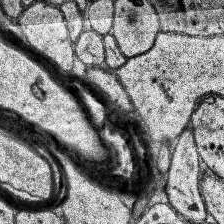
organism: Human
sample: Temporal Lobe